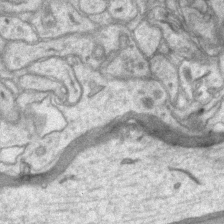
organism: Mouse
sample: CA1 Hippocampus